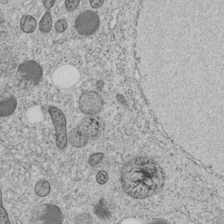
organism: C. elegans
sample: C. elegans embryo early stage